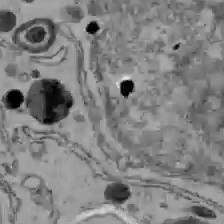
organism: C57BL Mouse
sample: Liver